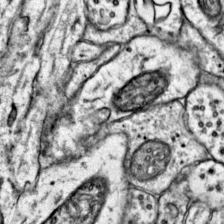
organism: Mouse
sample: Primary visual cortex